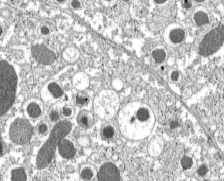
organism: C57BL Mouse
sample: Pancreatic islet